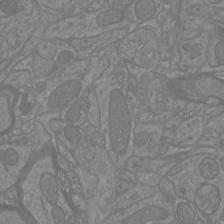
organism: Mouse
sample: Cortical neurons